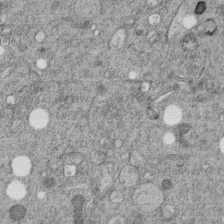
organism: C. elegans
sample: C. elegans embryo early stage